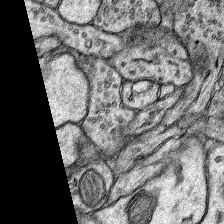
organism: Rat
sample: Hippocampus